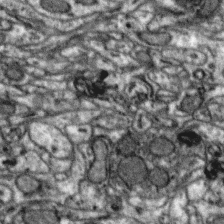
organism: Zebra finch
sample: Brain